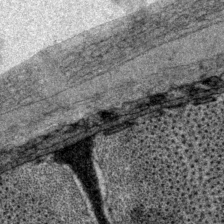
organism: P. pacificus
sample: Pharynx